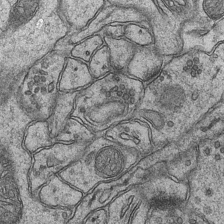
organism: Mouse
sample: CA1 Hippocampus